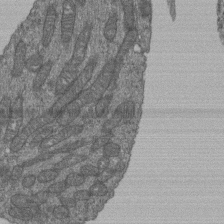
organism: Human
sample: Retinal organoid Rod and Cone cells